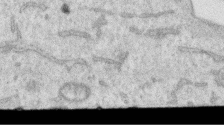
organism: Human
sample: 1205lu cells